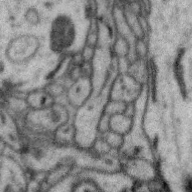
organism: Zebra finch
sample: Brain